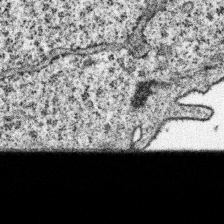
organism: Human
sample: HeLa cells